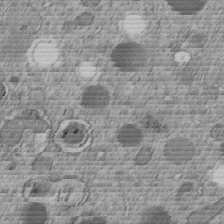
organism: C. elegans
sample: C. elegans embryo early stage